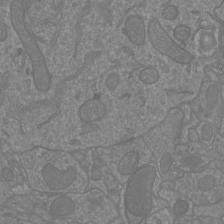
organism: Mouse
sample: Cortical neurons